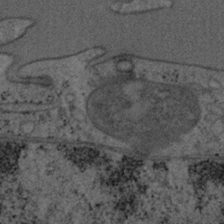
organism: Human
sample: HeLa cells